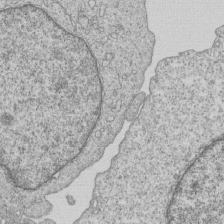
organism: Human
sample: MDA-MB-231 cells